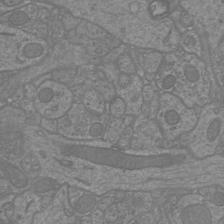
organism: Mouse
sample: Cortical neurons